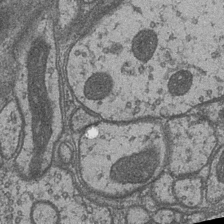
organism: Drosophila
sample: Optic medulla